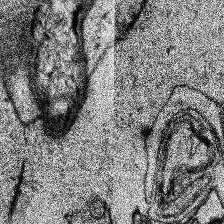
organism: Human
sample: Temporal Lobe